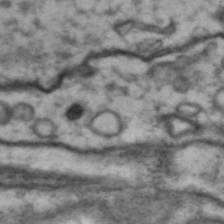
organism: Drosophila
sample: Brain